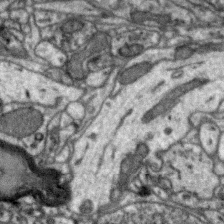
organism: Zebra finch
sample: Brain